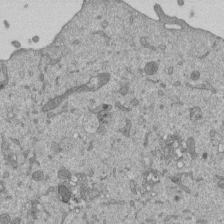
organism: Mouse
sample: ED-1 cell nuclei; centrioles